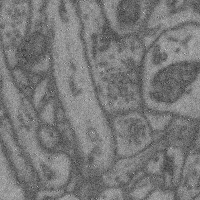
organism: Mouse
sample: Cerebral cortex